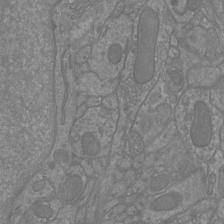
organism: Mouse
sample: Cortical neurons